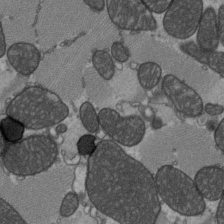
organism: C57BL Mouse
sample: Heart